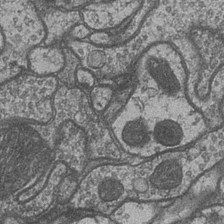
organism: Drosophila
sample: Optic medulla